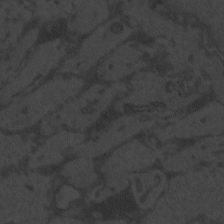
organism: Zebrafish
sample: Macrophage infected with Toxoplasma gondii